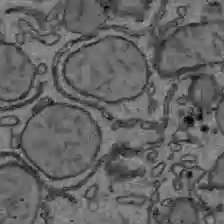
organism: C57BL Mouse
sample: Liver